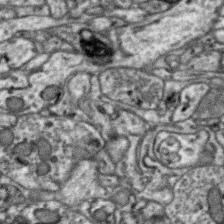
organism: Zebra finch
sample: Brain